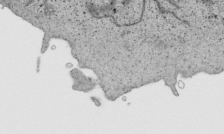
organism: Human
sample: Mitochondria in HCT116 cells